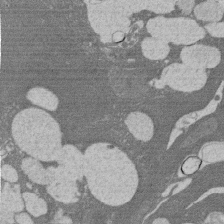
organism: Rat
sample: Salivary granule